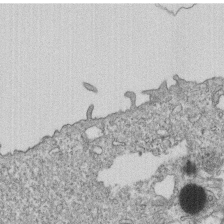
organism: Human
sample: HeLa cell HIV synapse